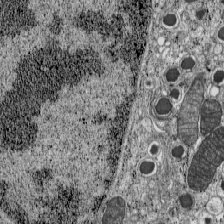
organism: C57BL Mouse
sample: Pancreatic islet